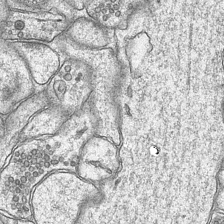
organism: Mouse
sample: CA1 Hippocampus